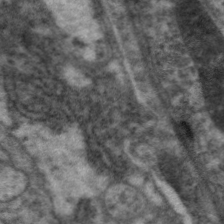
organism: C. elegans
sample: Pharynx